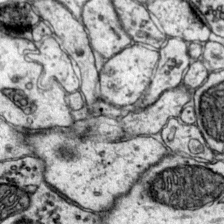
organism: Mouse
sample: Primary visual cortex